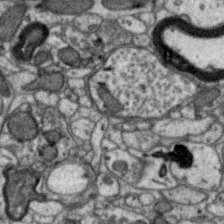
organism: Zebra finch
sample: Brain